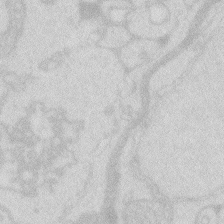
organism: Zebrafish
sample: Macrophage